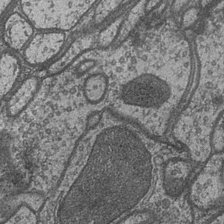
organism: Drosophila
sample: Optic medulla